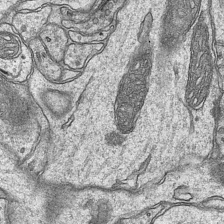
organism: Mouse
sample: CA1 Hippocampus